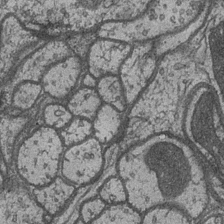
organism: Drosophila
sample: Optic medulla